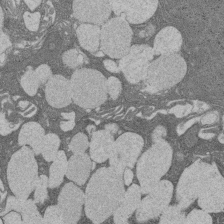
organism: Rat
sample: Salivary granule